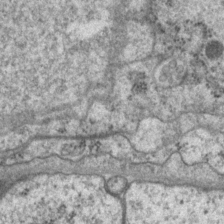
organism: P. pacificus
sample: Pharynx